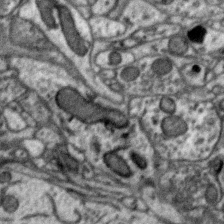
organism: Zebra finch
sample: Brain